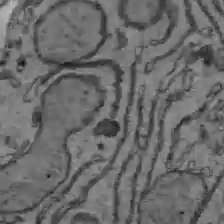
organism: C57BL Mouse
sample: Liver